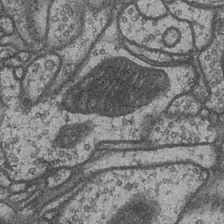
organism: Drosophila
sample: Optic medulla